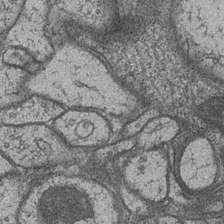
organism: Drosophila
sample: Optic medulla